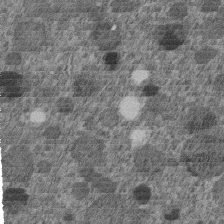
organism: C. elegans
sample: C. elegans embryo early stage